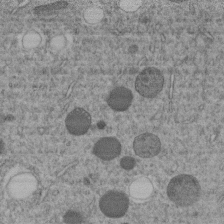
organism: C. elegans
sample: C. elegans embryo early stage